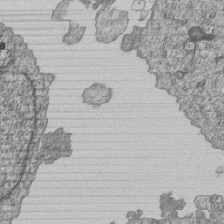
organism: Human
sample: MDA-MB-231 cells